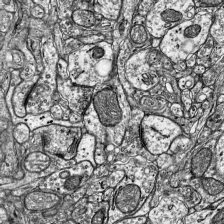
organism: Mouse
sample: Visual Cortex